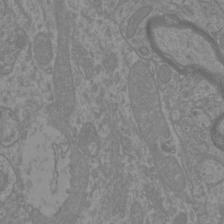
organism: Mouse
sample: Cortical neurons